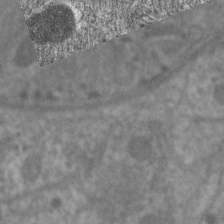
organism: C. elegans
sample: Pharynx